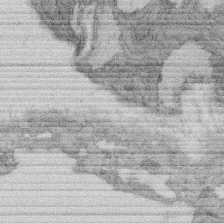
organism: Rat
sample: Salivary granule